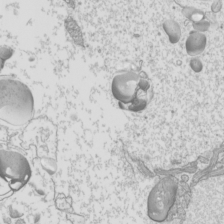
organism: Mouse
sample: Cilia; mouse epididymis